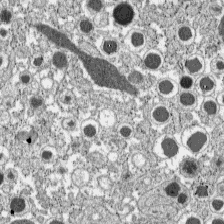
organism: C57BL Mouse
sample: Pancreatic islet